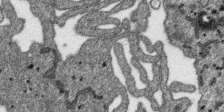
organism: Human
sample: Lung epithelial cells infected with SARS-CoV-2